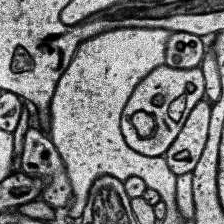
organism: Human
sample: Temporal Lobe